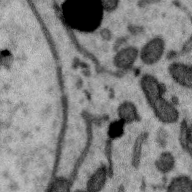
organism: Zebra finch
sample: Brain